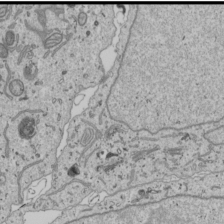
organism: Human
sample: Mitochondria in U2OS cells